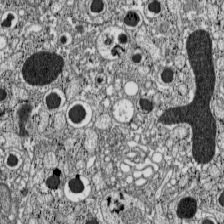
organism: C57BL Mouse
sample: Pancreatic islet